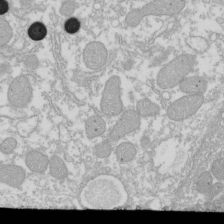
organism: Xenopus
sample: Cilia; centrioles in frog embryo cells